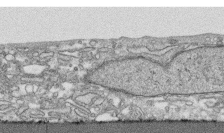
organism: Human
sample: CRL-1474